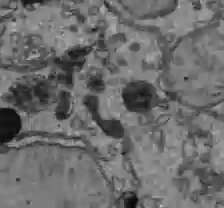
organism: C57BL Mouse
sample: Liver